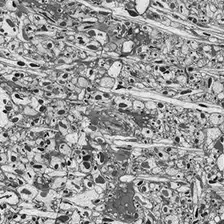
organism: Drosophila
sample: Optic lobe